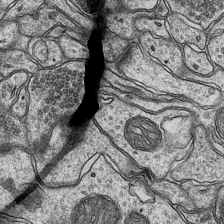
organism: Mouse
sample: CA1 Hippocampus